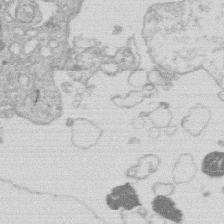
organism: Human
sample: Macrophage cells